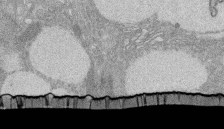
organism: Rat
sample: Salivary granule